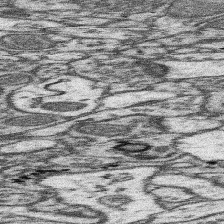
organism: Mouse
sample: Somatosensory cortex neuropil